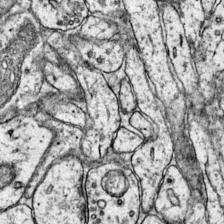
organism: Mouse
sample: Primary visual cortex